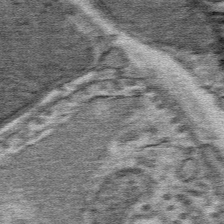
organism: Mouse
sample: Mouse Salivary gland